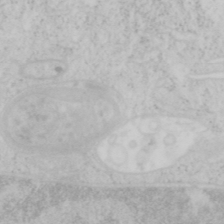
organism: Mouse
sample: OT-I killer T cells with ID8 ovarian cancer cells